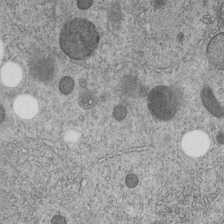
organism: C. elegans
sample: C. elegans embryo early stage